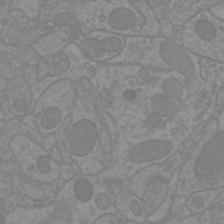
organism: Mouse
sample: Cortical neurons